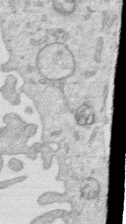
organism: Human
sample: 1205lu cells